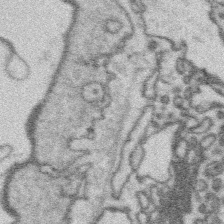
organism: Platynereis dumerilii